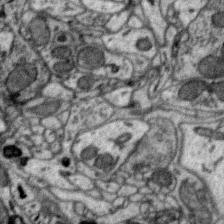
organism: Zebra finch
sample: Brain